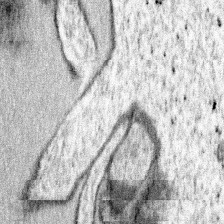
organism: Human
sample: HeLa cells